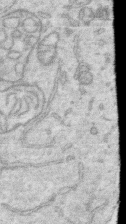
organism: Human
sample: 1205lu cells